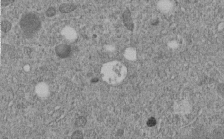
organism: C. elegans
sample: C. elegans embryo early stage